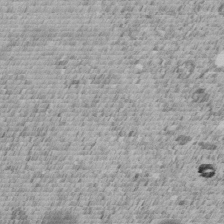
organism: C. elegans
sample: C. elegans embryo early stage